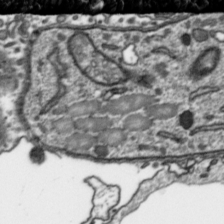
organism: Toxoplasma gondii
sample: Parasites in a vacuole inside a host cell